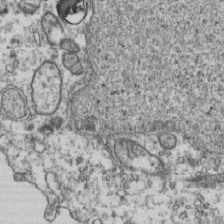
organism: Human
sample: Activated Jurkat CD4+ T cells